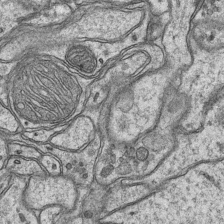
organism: Mouse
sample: CA1 Hippocampus